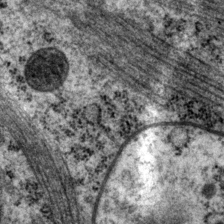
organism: P. pacificus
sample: Pharynx